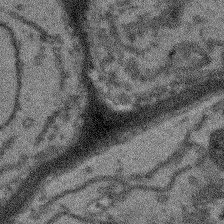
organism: Arabidopsis thaliana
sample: Root tip